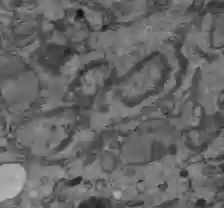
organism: C57BL Mouse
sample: Liver